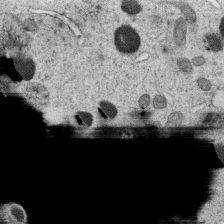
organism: C. elegans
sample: C. elegans oocyte; sperm cells